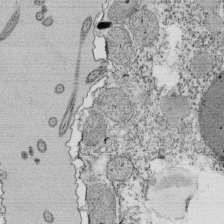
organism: Tetrahymena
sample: Cilia in tetrahymena